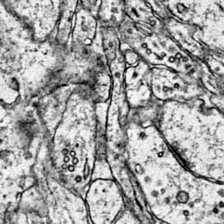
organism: Mouse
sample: Primary visual cortex